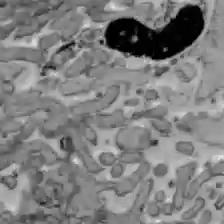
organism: C57BL Mouse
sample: Liver